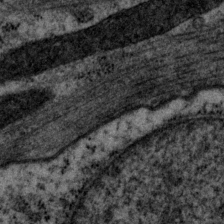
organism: P. pacificus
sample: Pharynx